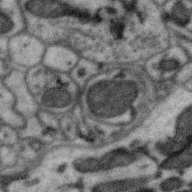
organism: Zebra finch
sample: Brain